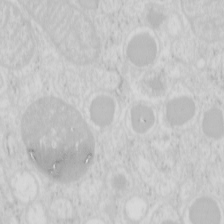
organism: Mouse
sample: Pancreas